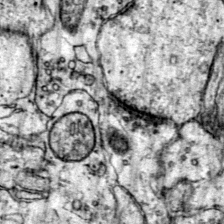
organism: Mouse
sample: Primary visual cortex